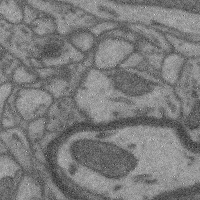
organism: Mouse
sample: Cerebral cortex